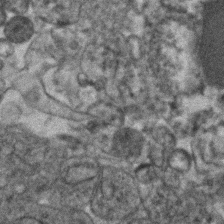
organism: Human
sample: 1205lu cells